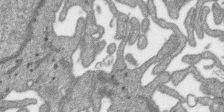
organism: Human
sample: Lung epithelial cells infected with SARS-CoV-2